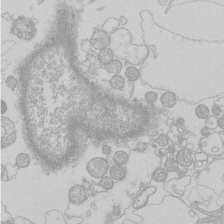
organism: Human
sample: Macrophage cells